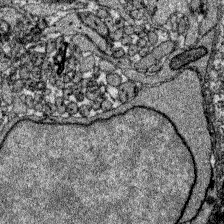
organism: Zebrafish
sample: Larval olfactory bulb